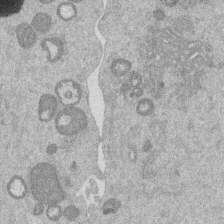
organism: Mouse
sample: Dividing mouse embryo 1 cell stage